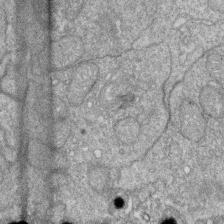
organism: Zebrafish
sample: Cilia; retinal pigment epithelium